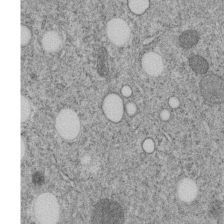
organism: C. elegans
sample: C. elegans embryo early stage